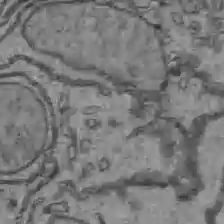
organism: C57BL Mouse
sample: Liver